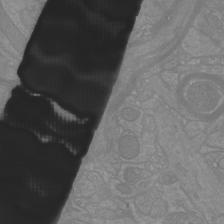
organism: Mouse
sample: Cortical neurons